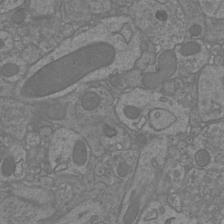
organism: Mouse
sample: Cortical neurons